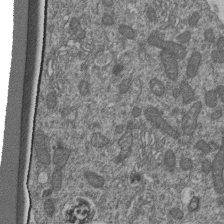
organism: Human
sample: Retinal organoid Rod and Cone cells